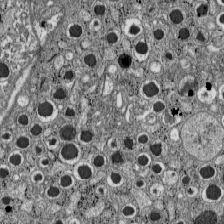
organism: C57BL Mouse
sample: Pancreatic islet